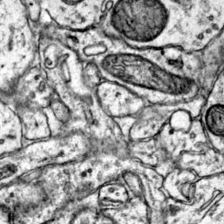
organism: Mouse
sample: Primary visual cortex